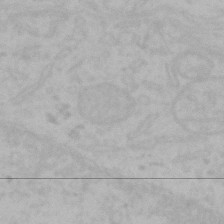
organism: Mouse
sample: Choroid plexus